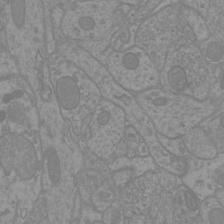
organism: Mouse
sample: Cortical neurons